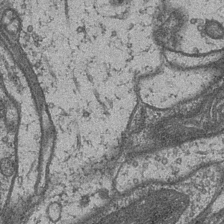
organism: Drosophila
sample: Optic medulla